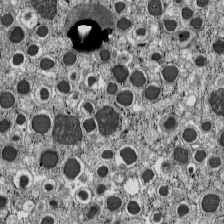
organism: C57BL Mouse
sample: Pancreatic islet